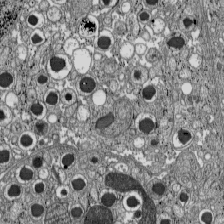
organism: C57BL Mouse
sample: Pancreatic islet